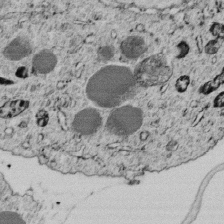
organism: C. elegans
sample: C. elegans embryo early stage